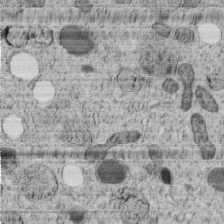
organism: C. elegans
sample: C. elegans embryo early stage